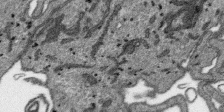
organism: Human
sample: Lung epithelial cells, uninfected (mock) control